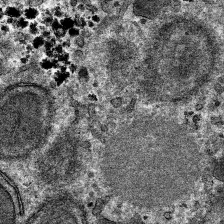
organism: Mouse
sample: Mouse hepatocytes